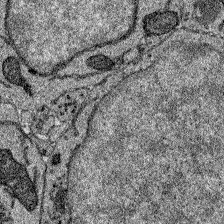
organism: Zebrafish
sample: Larval olfactory bulb